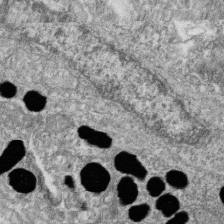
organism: Zebrafish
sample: Cilia; retinal pigment epithelium